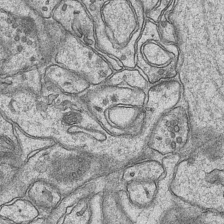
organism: Mouse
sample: CA1 Hippocampus